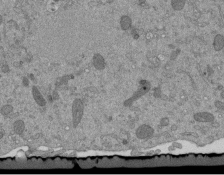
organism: Mouse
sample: ED-1 cell nuclei; centrioles